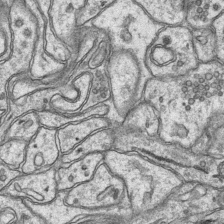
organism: Mouse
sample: CA1 Hippocampus